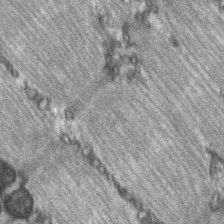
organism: C57BL Mouse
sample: Soleus